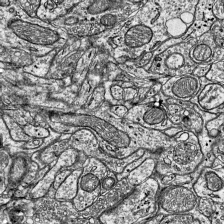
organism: Mouse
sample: Visual Cortex